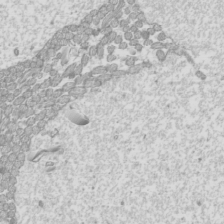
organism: Mouse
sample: Cilia; mouse epididymis